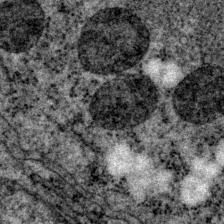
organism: P. pacificus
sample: Pharynx